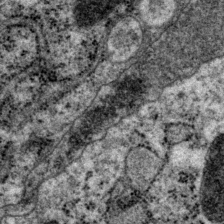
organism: P. pacificus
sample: Pharynx